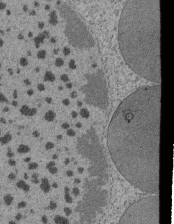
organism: Tetrahymena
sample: Cilia in tetrahymena